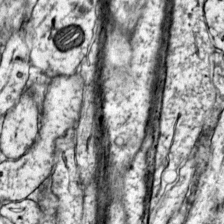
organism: Mouse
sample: Primary visual cortex